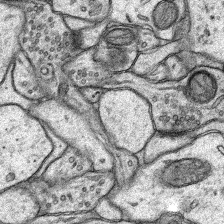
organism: Rat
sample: Hippocampus